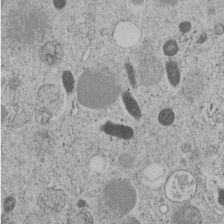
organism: C. elegans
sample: C. elegans embryo early stage